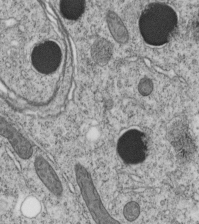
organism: C. elegans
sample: C. elegans embryo early stage